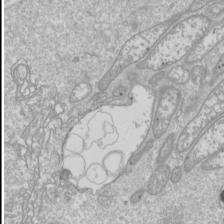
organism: Drosophila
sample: Cell division; meiosis; drosophila spermatocytes